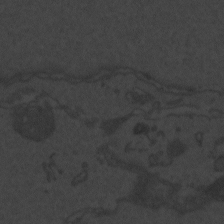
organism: Zebrafish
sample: Macrophage infected with Toxoplasma gondii